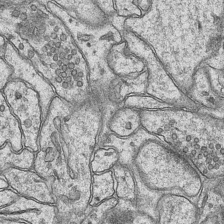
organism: Mouse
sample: CA1 Hippocampus